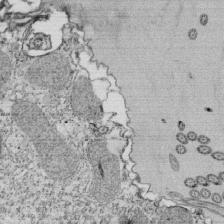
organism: Tetrahymena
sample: Cilia in tetrahymena